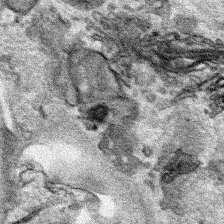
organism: Human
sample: Mitochondria in HCT116 cells